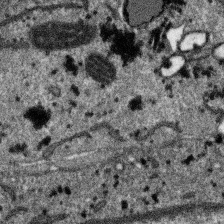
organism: Human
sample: Lung epithelial cells infected with SARS-CoV-2